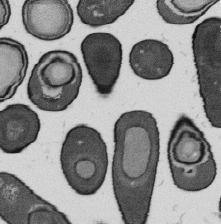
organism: B. subtilis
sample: Bacterial spore